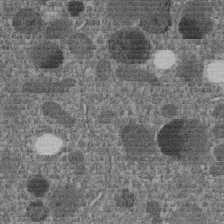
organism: C. elegans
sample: C. elegans embryo early stage